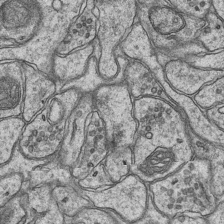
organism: Mouse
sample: CA1 Hippocampus